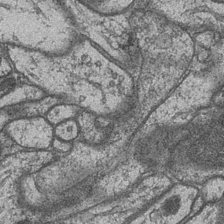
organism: Drosophila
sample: Optic medulla